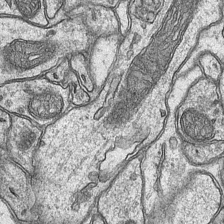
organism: Mouse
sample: CA1 Hippocampus